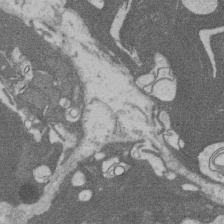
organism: Rat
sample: Salivary granule